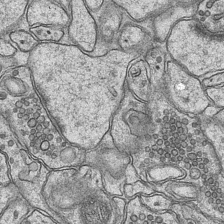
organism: Mouse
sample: CA1 Hippocampus